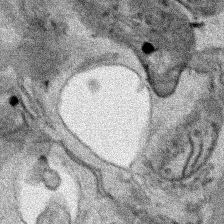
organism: Human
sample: Mitochondria in HCT116 cells